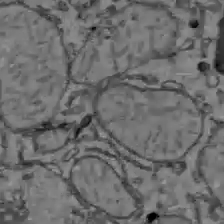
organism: C57BL Mouse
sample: Liver